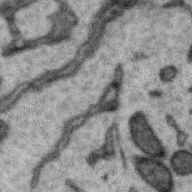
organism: Zebra finch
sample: Brain